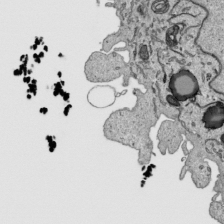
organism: Human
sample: Mitochondria in HCT116 cells